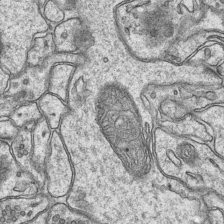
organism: Mouse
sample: CA1 Hippocampus